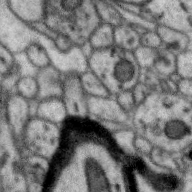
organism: Zebra finch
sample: Brain